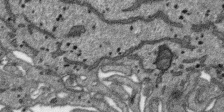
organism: Human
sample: Lung epithelial cells, uninfected (mock) control